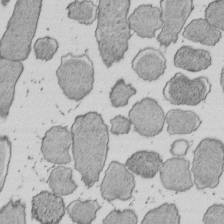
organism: E. coli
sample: Bacterial nucleoid